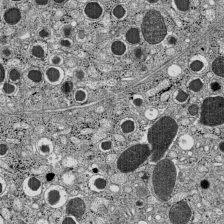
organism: C57BL Mouse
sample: Pancreatic islet